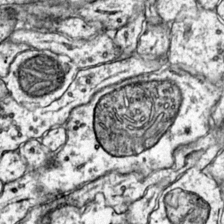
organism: Mouse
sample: Primary visual cortex